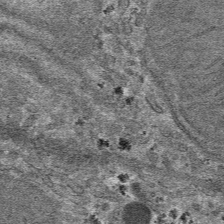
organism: Mouse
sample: Mouse hepatocytes